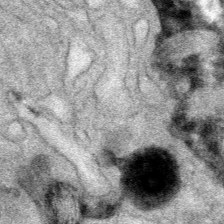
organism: Mouse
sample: Mouse Salivary gland